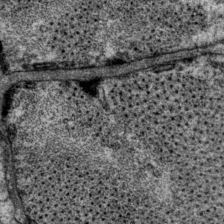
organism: P. pacificus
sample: Pharynx